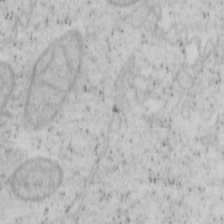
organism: Human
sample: HeLa cells